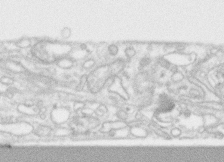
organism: Human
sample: CRL-1474